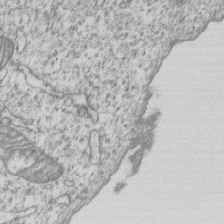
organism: Human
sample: MDA-MB-231 cells